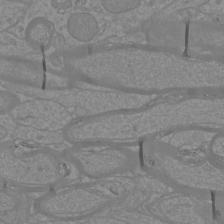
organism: Mouse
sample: Cortical neurons